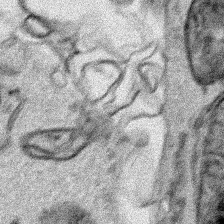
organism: Human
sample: Mitochondria in HCT116 cells